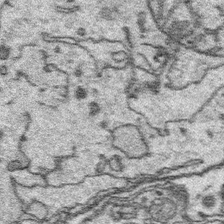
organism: Platynereis dumerilii